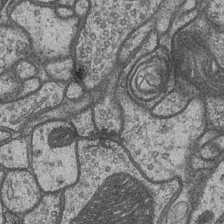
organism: Drosophila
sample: Optic medulla